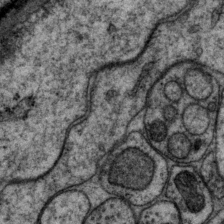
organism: P. pacificus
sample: Pharynx